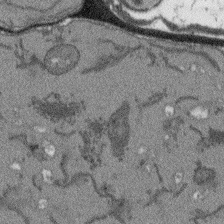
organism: Arabidopsis thaliana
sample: Root tip